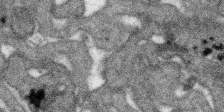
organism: Human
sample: Lung epithelial cells infected with SARS-CoV-2